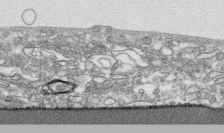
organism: Human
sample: CRL-1474